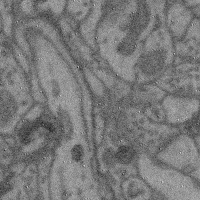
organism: Mouse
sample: Cerebral cortex